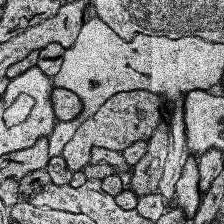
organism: Human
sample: Temporal Lobe